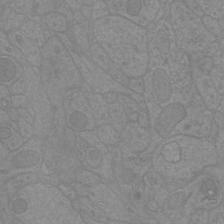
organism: Mouse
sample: Cortical neurons